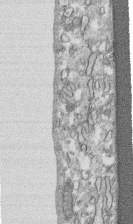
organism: Human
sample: CRL-1474